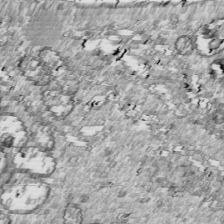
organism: Drosophila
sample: Cell division; meiosis; drosophila spermatocytes